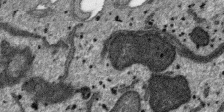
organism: Human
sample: Lung epithelial cells, uninfected (mock) control